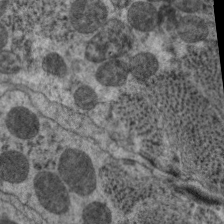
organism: C. elegans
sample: Pharynx